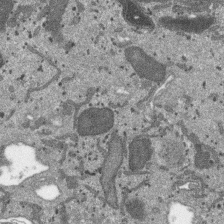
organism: Human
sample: Lung epithelial cells infected with SARS-CoV-2